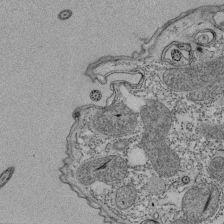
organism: Tetrahymena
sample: Cilia in tetrahymena